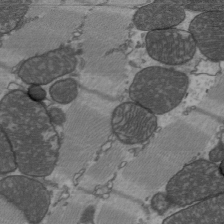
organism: C57BL Mouse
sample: Heart